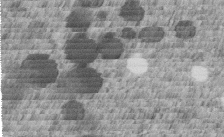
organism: C. elegans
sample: C. elegans embryo early stage